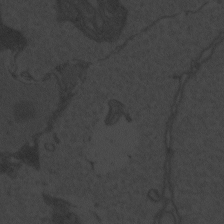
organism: Zebrafish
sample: Macrophage infected with Toxoplasma gondii